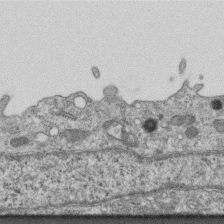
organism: Mouse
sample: Centriole in ependymal cells